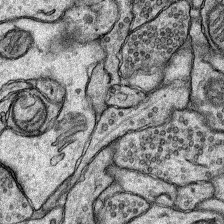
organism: Rat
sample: Hippocampus